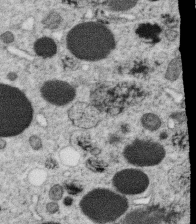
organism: C. elegans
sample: C. elegans oocyte; sperm cells